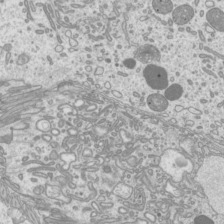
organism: Mouse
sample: Cilia; mouse epididymis